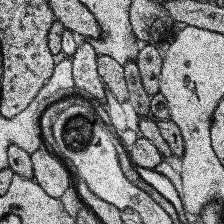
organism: Human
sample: Temporal Lobe